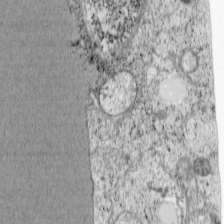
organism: African green monkey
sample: COS-7 cells